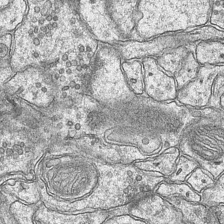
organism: Mouse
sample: CA1 Hippocampus